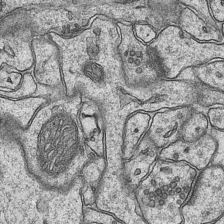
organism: Mouse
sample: CA1 Hippocampus